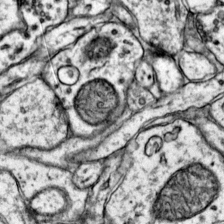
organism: Mouse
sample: Primary visual cortex